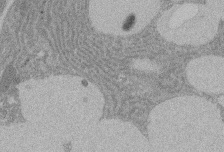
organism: Rat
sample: Salivary granule